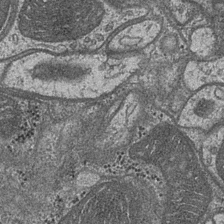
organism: Drosophila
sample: Optic medulla